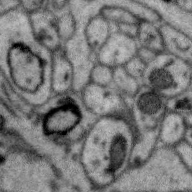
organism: Zebra finch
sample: Brain